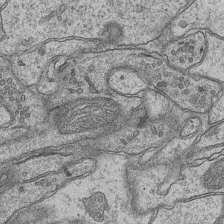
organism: Mouse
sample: CA1 Hippocampus